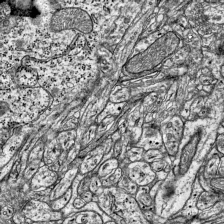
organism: Mouse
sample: Visual Cortex